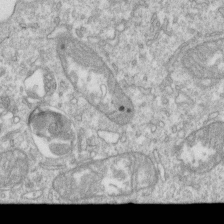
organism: Mouse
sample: Activated OT-1 CD8+ T cells